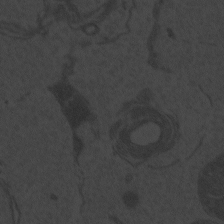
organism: Zebrafish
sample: Macrophage infected with Toxoplasma gondii